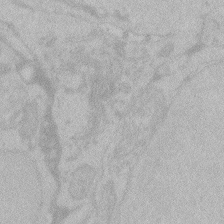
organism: Zebrafish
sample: Macrophage infected with Toxoplasma gondii